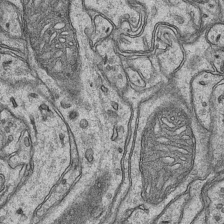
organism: Mouse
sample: CA1 Hippocampus